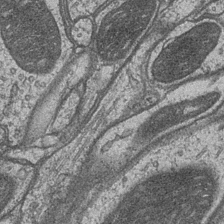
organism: Drosophila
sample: Optic medulla